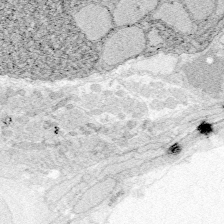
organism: Zebrafish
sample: Whole-Brain